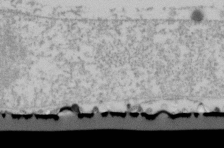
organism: Human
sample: U2-OS cells